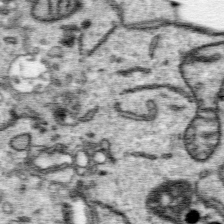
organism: Human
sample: HeLa cells